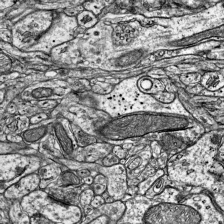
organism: Mouse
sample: Visual Cortex